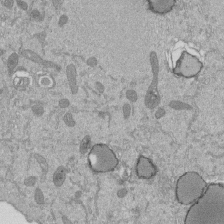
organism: Mouse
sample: ED-1 cell nuclei; centrioles